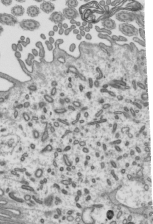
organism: Mouse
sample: Mouse epididymis efferent ductule cilia